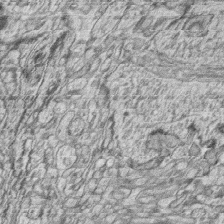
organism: Zebrafish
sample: synaptic ribbons in rod cells and cone cells